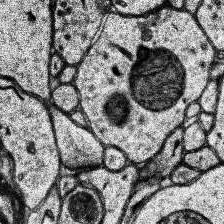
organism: Human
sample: Temporal Lobe